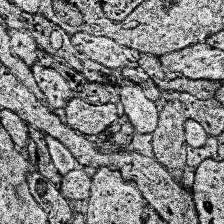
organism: Human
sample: Temporal Lobe